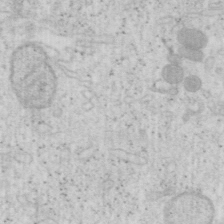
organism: Human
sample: HeLa cells